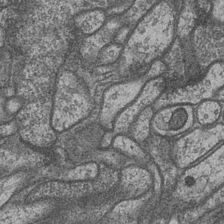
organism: Drosophila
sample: Optic medulla